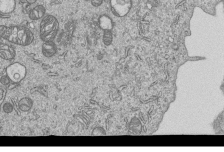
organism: Human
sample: MDA-MB-231 cells